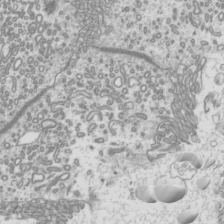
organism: Mouse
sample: Cilia; mouse epididymis